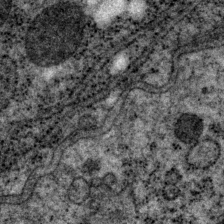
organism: P. pacificus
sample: Pharynx